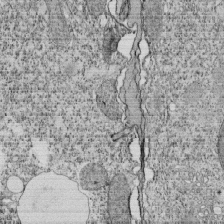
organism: Tetrahymena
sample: Cilia in tetrahymena